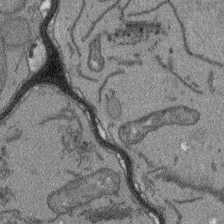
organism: Arabidopsis thaliana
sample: Root tip